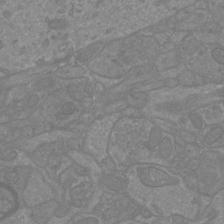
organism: Mouse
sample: Cortical neurons